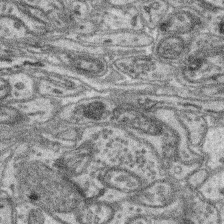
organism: Mouse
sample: Retina